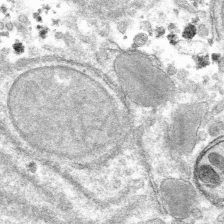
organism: Mouse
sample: Mouse hepatocytes